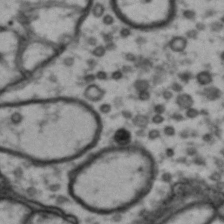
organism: Drosophila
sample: Brain